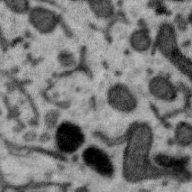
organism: Zebra finch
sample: Brain